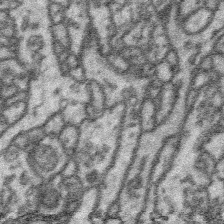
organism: Platynereis dumerilii